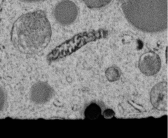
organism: C. elegans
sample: C. elegans embryo early stage